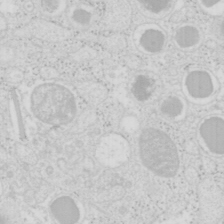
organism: Mouse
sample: Pancreas